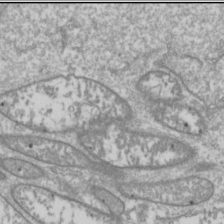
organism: Drosophila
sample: Cell division; meiosis; drosophila spermatocytes